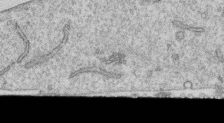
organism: Human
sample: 1205lu cells